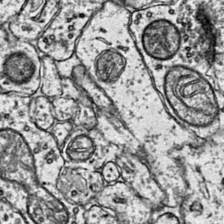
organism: Mouse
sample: Primary visual cortex